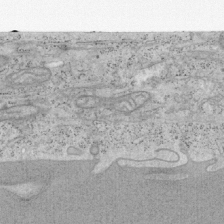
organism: Human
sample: HeLa cells